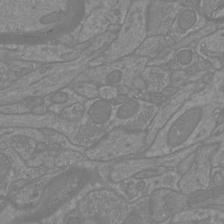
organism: Mouse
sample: Cortical neurons